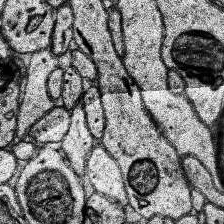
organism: Human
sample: Temporal Lobe